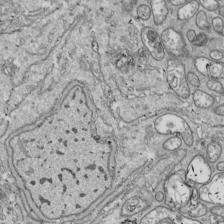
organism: Drosophila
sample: Cell division; meiosis; drosophila spermatocytes